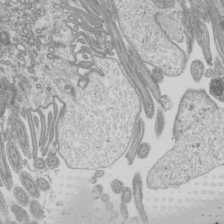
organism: Mouse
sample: Cilia; mouse epididymis